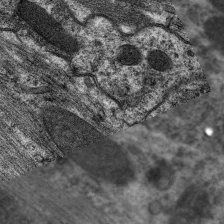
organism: C. elegans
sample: Pharynx